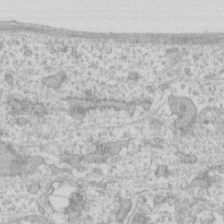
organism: Human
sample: Fibroblast cells